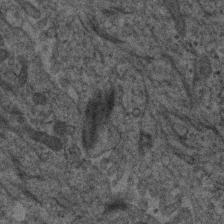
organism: Human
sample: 1205lu cells